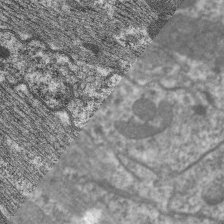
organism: C. elegans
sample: Pharynx